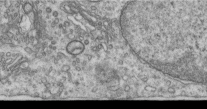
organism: Human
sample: Centriole in RPE cells